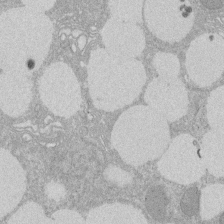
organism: Rat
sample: Salivary granule